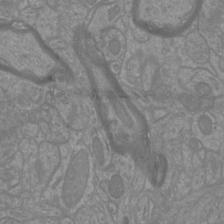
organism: Mouse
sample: Cortical neurons